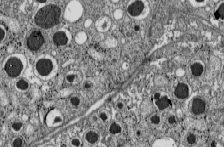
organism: C57BL Mouse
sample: Pancreatic islet